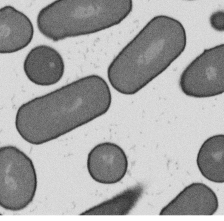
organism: B. subtilis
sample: Bacterial spore